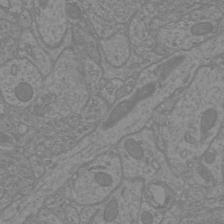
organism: Mouse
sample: Cortical neurons